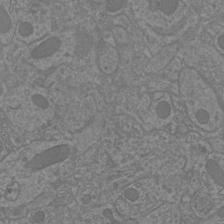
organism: Mouse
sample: Cortical neurons